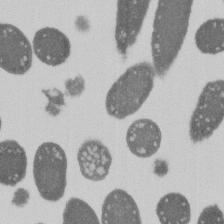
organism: E. coli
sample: Bacterial nucleoid